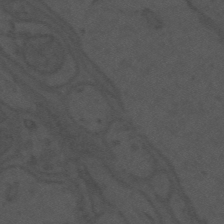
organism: Mouse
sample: Suprachiasmatic nucleus